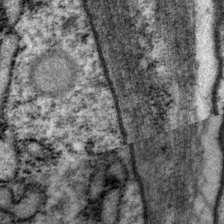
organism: P. pacificus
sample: Pharynx